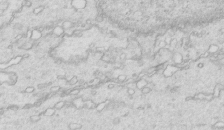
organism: Mouse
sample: Multiciliated cells